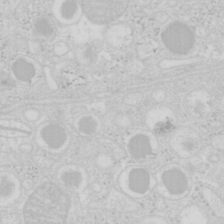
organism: Mouse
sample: Pancreas